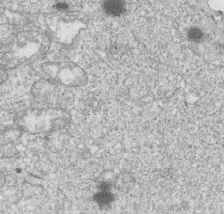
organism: Human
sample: HeLa cell HIV synapse